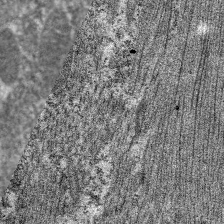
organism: C. elegans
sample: Pharynx